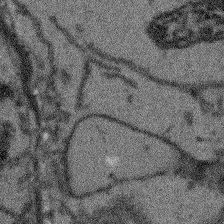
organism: Arabidopsis thaliana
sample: Root tip